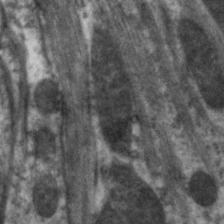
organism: C. elegans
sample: Pharynx